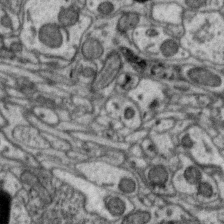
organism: Zebra finch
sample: Brain